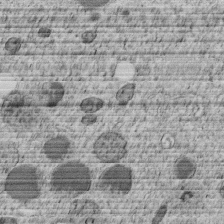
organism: C. elegans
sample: C. elegans embryo early stage